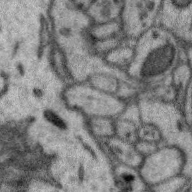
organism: Zebra finch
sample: Brain